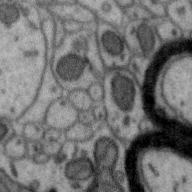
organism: Zebra finch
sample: Brain